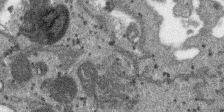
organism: Human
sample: Lung epithelial cells infected with SARS-CoV-2